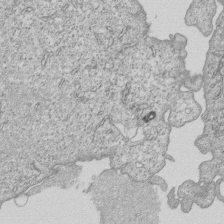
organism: Human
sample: MDA-MB-231 cells